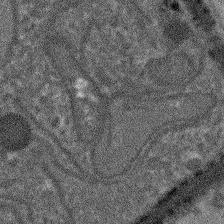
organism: Arabidopsis thaliana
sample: Root tip